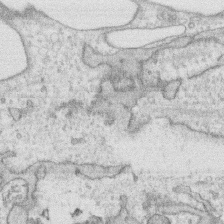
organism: Human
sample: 1205lu cells